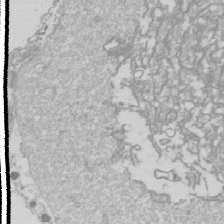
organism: Drosophila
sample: Cell division; meiosis; drosophila spermatocytes